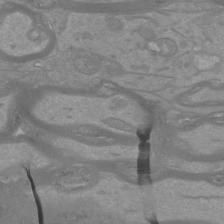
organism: Mouse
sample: Cortical neurons